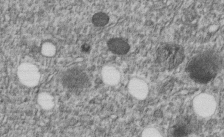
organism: C. elegans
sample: C. elegans embryo early stage